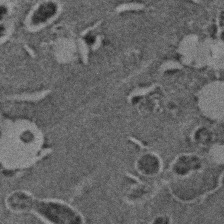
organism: C. elegans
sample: C. elegans embryo